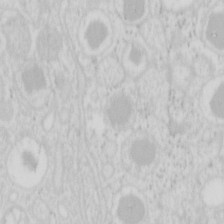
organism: Mouse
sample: Pancreas